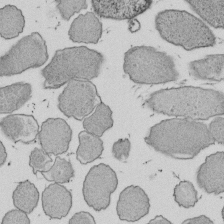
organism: E. coli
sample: Bacterial nucleoid